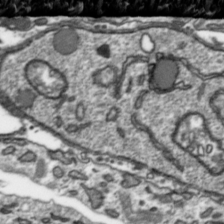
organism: Toxoplasma gondii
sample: Parasites in a vacuole inside a host cell